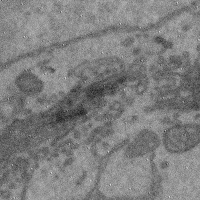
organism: Mouse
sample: Cerebral cortex